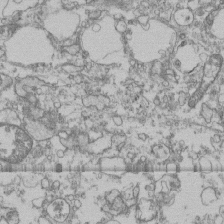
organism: Human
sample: Fibroblast cells